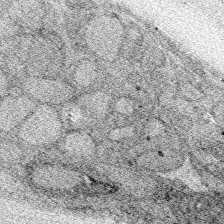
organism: Zebrafish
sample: Whole-Brain